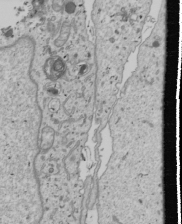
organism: Human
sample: Mitochondria in U2OS cells